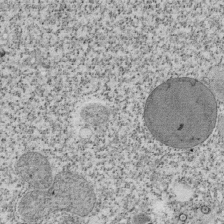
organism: Tetrahymena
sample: Cilia in tetrahymena